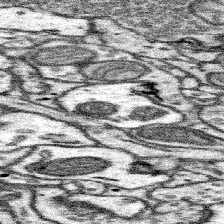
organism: Mouse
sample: Somatosensory cortex neuropil